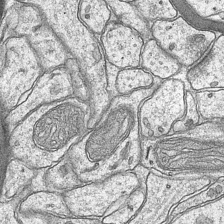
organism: Mouse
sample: CA1 Hippocampus